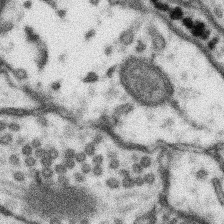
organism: Mouse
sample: Somatosensory cortex neuropil